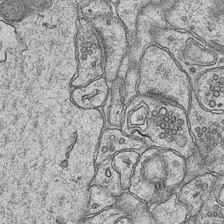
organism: Mouse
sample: CA1 Hippocampus